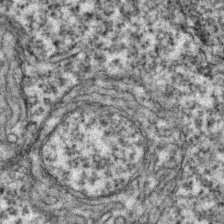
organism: Zebrafish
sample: Zebrafish embryo